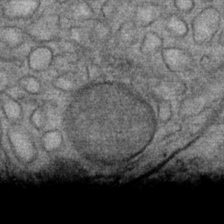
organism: Mouse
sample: Mouse Salivary gland